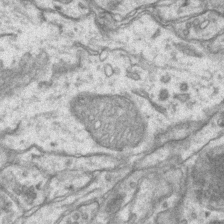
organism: Mouse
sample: CA1 Hippocampus